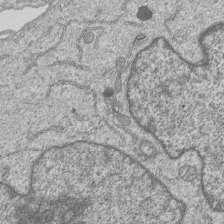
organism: Human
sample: MDA-MB-231 cells